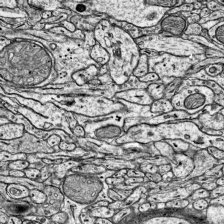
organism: Mouse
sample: Visual Cortex